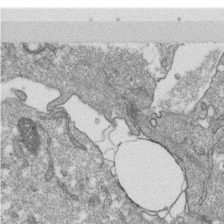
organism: African green monkey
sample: Vero E6 cells infected with SARS-CoV-2